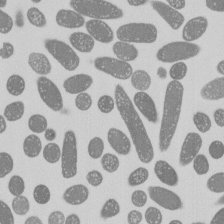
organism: E. coli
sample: Bacterial nucleoid